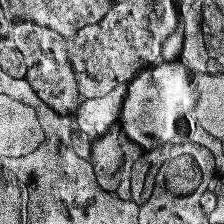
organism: Human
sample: Temporal Lobe